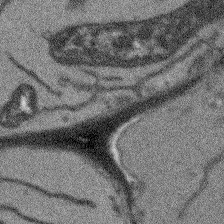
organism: Arabidopsis thaliana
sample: Root tip